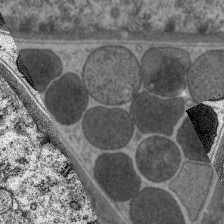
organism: C. elegans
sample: Pharynx